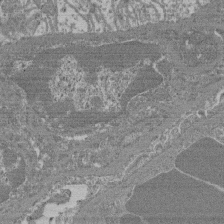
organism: Mouse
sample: Glomerulus